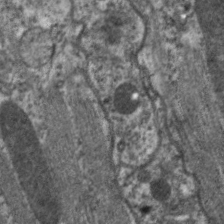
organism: C. elegans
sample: Pharynx